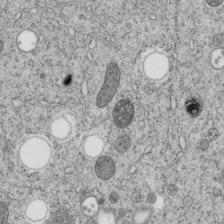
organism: C. elegans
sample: C. elegans embryo early stage